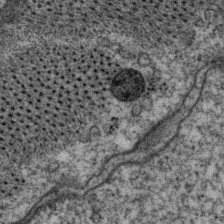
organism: P. pacificus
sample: Pharynx